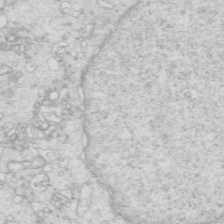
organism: Mouse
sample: Multiciliated cells